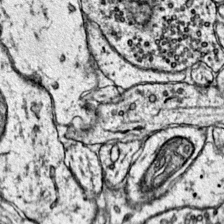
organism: Mouse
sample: Primary visual cortex